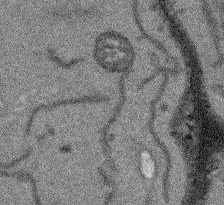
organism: Arabidopsis thaliana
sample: Root tip